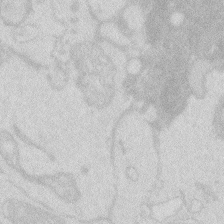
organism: Zebrafish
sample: Macrophage